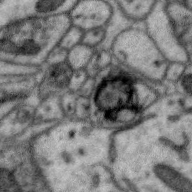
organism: Zebra finch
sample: Brain